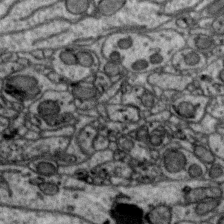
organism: Zebra finch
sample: Brain